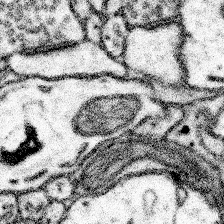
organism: Mouse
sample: Somatosensory cortex neuropil